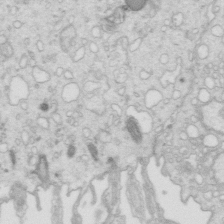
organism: Mouse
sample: Multiciliated cells